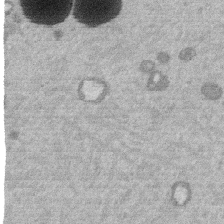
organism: Mouse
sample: Dividing mouse embryo 1 cell stage